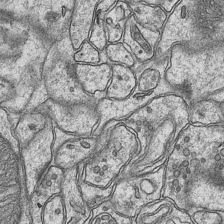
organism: Mouse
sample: CA1 Hippocampus